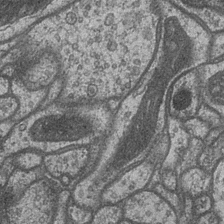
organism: Drosophila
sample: Optic medulla